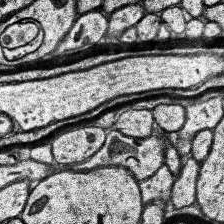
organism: Human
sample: Temporal Lobe